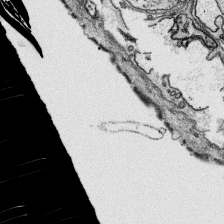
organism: Platynereis dumerilii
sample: Parapodia